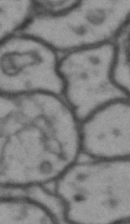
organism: Drosophila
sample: Brain